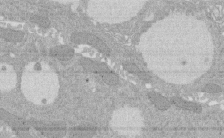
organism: Rat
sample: Salivary granule